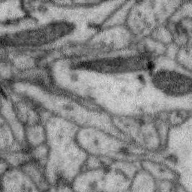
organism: Zebra finch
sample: Brain